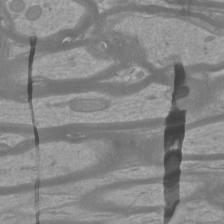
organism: Mouse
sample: Cortical neurons